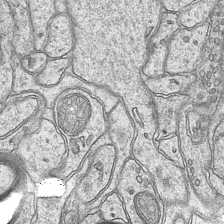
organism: Mouse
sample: CA1 Hippocampus